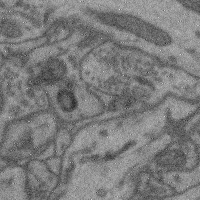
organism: Mouse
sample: Cerebral cortex